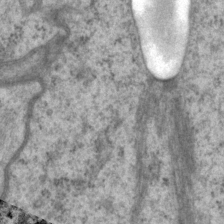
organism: P. pacificus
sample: Pharynx